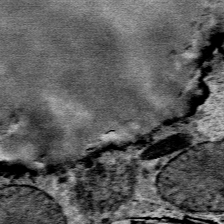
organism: Mouse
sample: Mouse Salivary gland